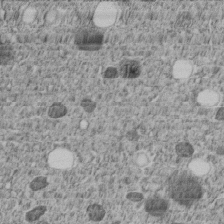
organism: C. elegans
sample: C. elegans embryo early stage